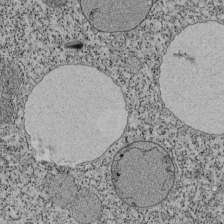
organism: Tetrahymena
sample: Cilia in tetrahymena